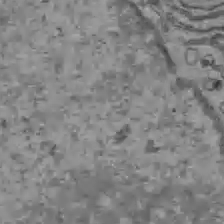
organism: C57BL Mouse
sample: Liver